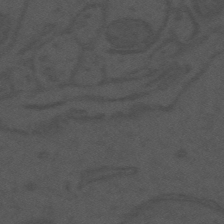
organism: Mouse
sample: Suprachiasmatic nucleus